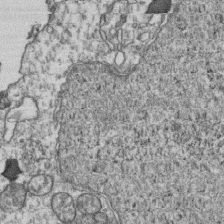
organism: Human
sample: Activated Jurkat CD4+ T cells